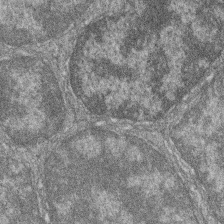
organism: Zebrafish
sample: Cilia; retinal pigment epithelium